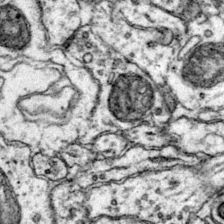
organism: Mouse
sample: Primary visual cortex